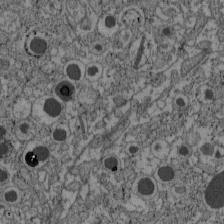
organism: C57BL Mouse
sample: Pancreatic islet